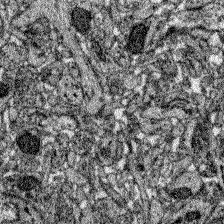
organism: Zebrafish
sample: Larval olfactory bulb